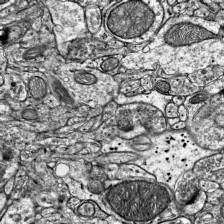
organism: Mouse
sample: Visual Cortex